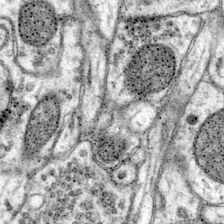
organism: Mouse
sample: Primary visual cortex